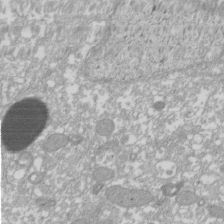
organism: Xenopus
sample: Cilia; centrioles in frog embryo cells